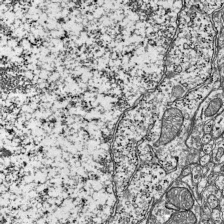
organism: Mouse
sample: Visual Cortex